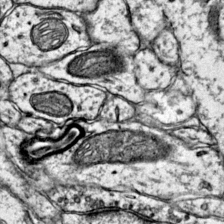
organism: Mouse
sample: Primary visual cortex